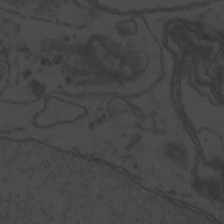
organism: Zebrafish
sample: Macrophage infected with Toxoplasma gondii